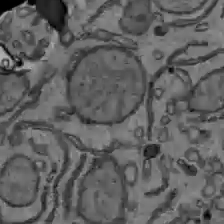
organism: C57BL Mouse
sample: Liver